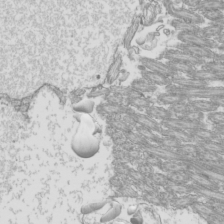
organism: Mouse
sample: Cilia; mouse epididymis